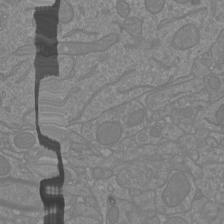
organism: Mouse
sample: Cortical neurons